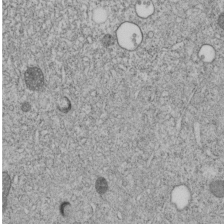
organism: C. elegans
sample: C. elegans embryo early stage